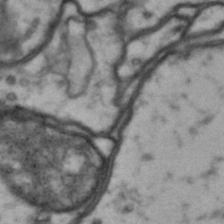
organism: Drosophila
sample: Brain